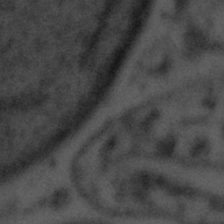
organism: Tuwongella immobilis